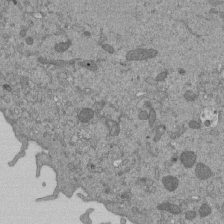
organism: Mouse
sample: ED-1 cell nuclei; centrioles